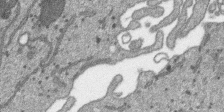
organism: Human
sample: Lung epithelial cells infected with SARS-CoV-2